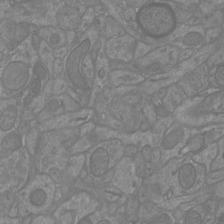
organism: Mouse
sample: Cortical neurons